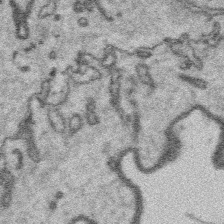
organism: Platynereis dumerilii